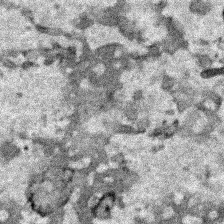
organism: Human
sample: Mitochondria in HCT116 cells